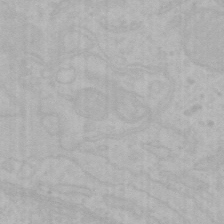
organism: Mouse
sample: Choroid plexus